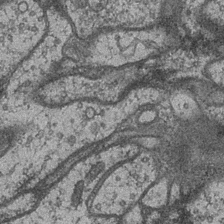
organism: Drosophila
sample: Optic medulla